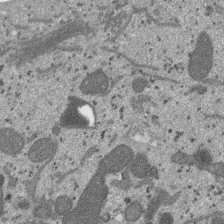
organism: Human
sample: Lung epithelial cells infected with SARS-CoV-2